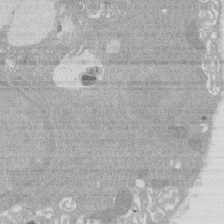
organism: Rat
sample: Salivary granule